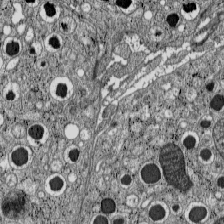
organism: C57BL Mouse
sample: Pancreatic islet